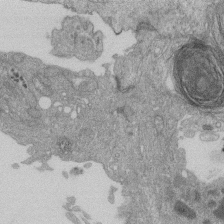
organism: Human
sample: Retinal organoid Rod and Cone cells